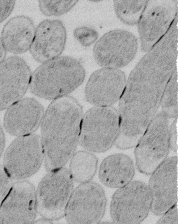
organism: E. coli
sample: Bacterial nucleoid